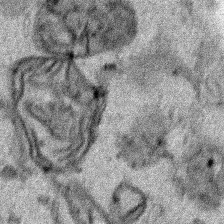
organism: Human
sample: Mitochondria in HCT116 cells